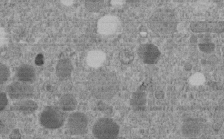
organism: C. elegans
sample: C. elegans embryo early stage